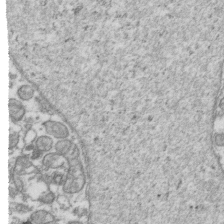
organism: Human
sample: Activated Jurkat CD4+ T cells